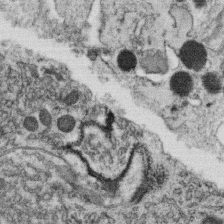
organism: C. elegans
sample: C. elegans oocyte; sperm cells